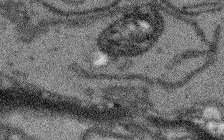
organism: Arabidopsis thaliana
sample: Root tip